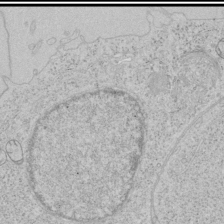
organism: Human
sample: Mitochondria in HCT116 cells